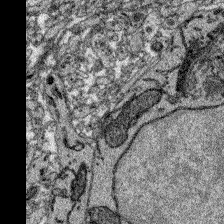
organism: Zebrafish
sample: Larval olfactory bulb